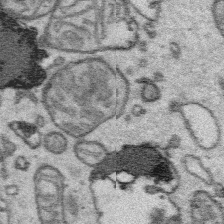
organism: Platynereis dumerilii